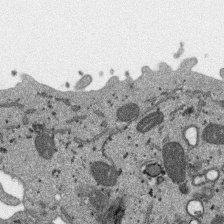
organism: Human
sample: Lung epithelial cells infected with SARS-CoV-2